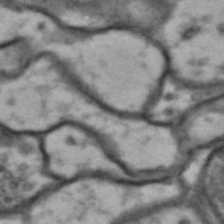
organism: Drosophila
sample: Brain